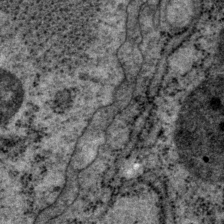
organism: P. pacificus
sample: Pharynx